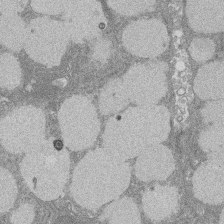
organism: Rat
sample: Salivary granule